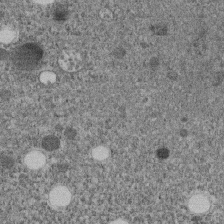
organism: C. elegans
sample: C. elegans embryo early stage